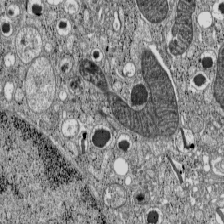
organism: C57BL Mouse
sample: Pancreatic islet